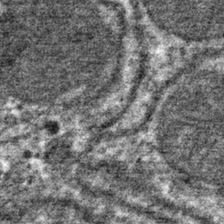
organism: Mouse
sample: Mouse hepatocytes